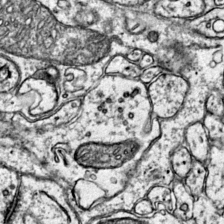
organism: Mouse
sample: Primary visual cortex